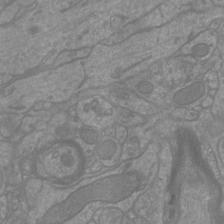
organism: Mouse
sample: Cortical neurons